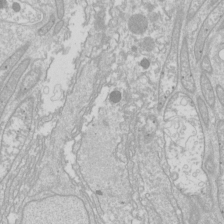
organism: Drosophila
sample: Cell division; meiosis; drosophila spermatocytes